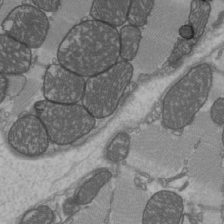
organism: C57BL Mouse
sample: Heart